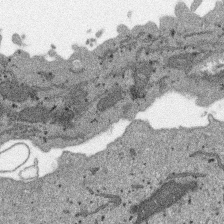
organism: Human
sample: Lung epithelial cells infected with SARS-CoV-2